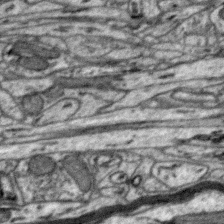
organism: Zebra finch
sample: Brain